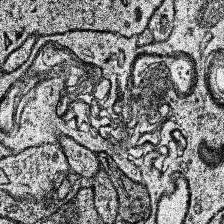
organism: Human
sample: Temporal Lobe